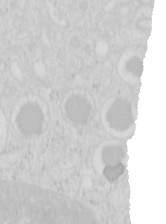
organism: Mouse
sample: Pancreas